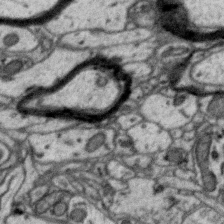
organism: Zebra finch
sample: Brain